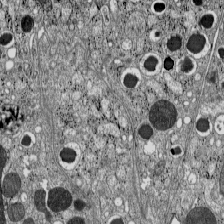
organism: C57BL Mouse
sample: Pancreatic islet